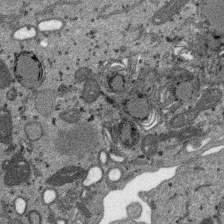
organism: Human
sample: Lung epithelial cells infected with SARS-CoV-2